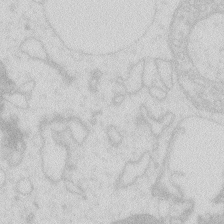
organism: Zebrafish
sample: Macrophage